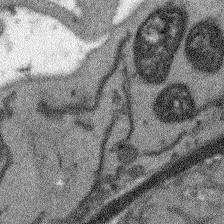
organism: Arabidopsis thaliana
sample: Root tip